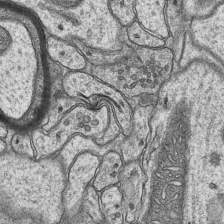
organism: Mouse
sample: CA1 Hippocampus